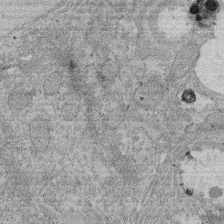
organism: Rat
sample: Salivary granule